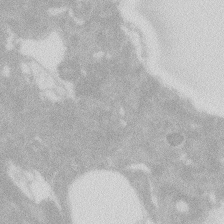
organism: Zebrafish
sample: Macrophage